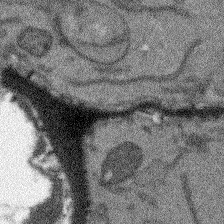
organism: Arabidopsis thaliana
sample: Root tip